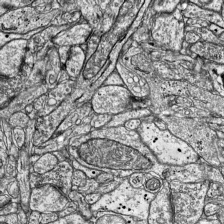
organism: Mouse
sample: Visual Cortex